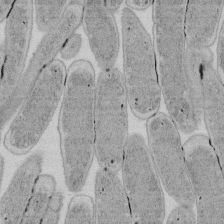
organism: E. coli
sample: Bacterial nucleoid